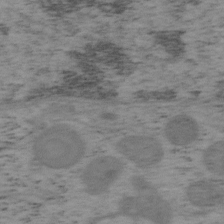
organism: Mouse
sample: OT-I killer T cells with ID8 ovarian cancer cells